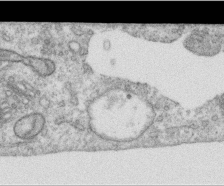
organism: Human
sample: Centriole in RPE cells